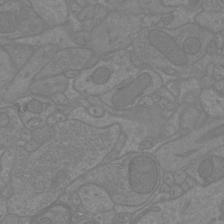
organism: Mouse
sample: Cortical neurons